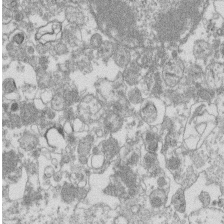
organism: Human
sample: HeLa cell HIV synapse